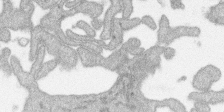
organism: Human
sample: Lung epithelial cells infected with SARS-CoV-2